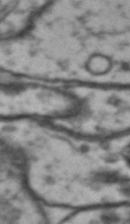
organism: Drosophila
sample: Brain